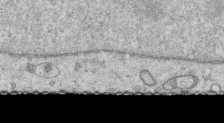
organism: Human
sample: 1205lu cells